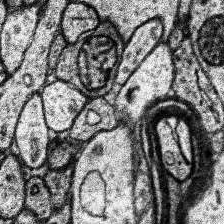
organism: Human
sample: Temporal Lobe